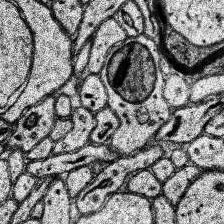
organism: Human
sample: Temporal Lobe